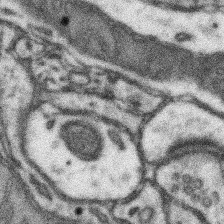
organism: Mouse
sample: Somatosensory cortex neuropil